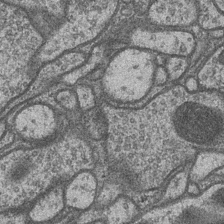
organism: Drosophila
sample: Optic medulla